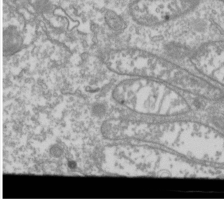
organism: Drosophila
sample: Cell division; meiosis; drosophila spermatocytes